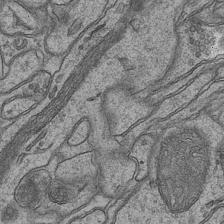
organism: Mouse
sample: CA1 Hippocampus